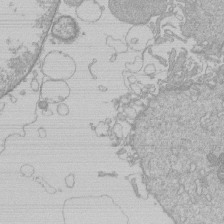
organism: Human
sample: Macrophage cells